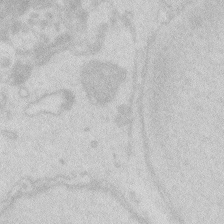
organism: Zebrafish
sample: Macrophage